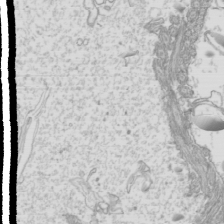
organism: Mouse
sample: Cilia; mouse epididymis